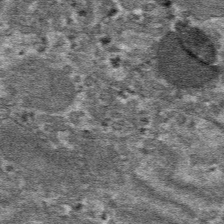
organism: Mouse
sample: Mouse hepatocytes